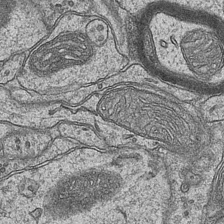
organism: Mouse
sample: CA1 Hippocampus